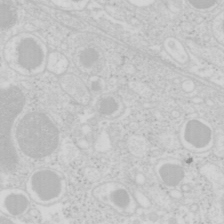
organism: Mouse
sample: Pancreas